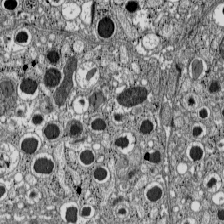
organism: C57BL Mouse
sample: Pancreatic islet